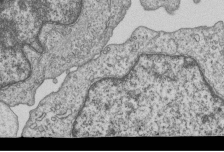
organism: Human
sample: MDA-MB-231 cells